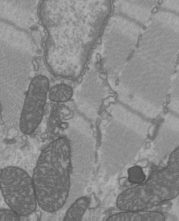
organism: C57BL Mouse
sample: Heart